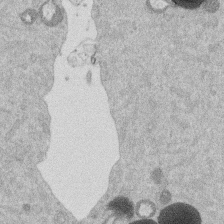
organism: Mouse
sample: Dividing mouse embryo 1 cell stage